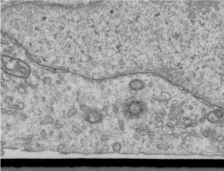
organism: Human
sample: Centriole in RPE cells